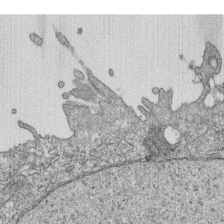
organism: Human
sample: HeLa cell HIV synapse